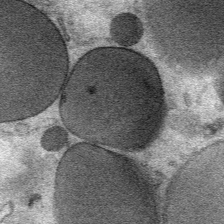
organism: Mouse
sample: Mouse Salivary gland